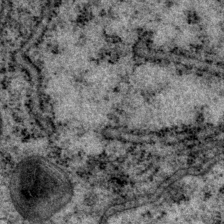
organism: P. pacificus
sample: Pharynx